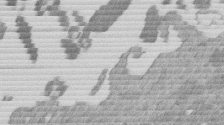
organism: Mouse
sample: Dividing mouse embryo 1 cell stage